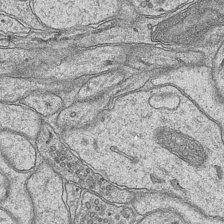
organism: Mouse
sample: CA1 Hippocampus